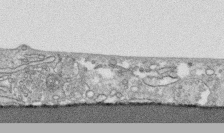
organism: Human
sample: CRL-1474